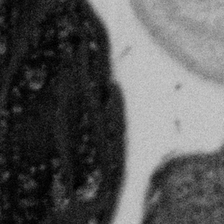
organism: Gemmata obscuriglobus